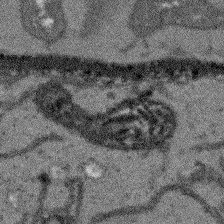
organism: Arabidopsis thaliana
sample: Root tip